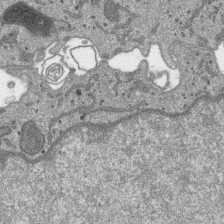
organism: Human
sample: Lung epithelial cells infected with SARS-CoV-2